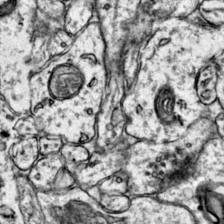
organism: Mouse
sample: Primary visual cortex